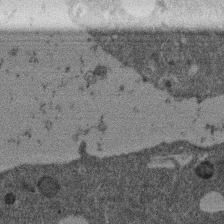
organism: Mouse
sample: Dividing mouse embryo 1 cell stage